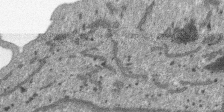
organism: Human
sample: Lung epithelial cells infected with SARS-CoV-2